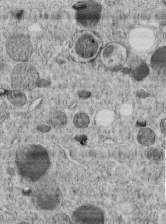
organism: C. elegans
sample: C. elegans embryo early stage